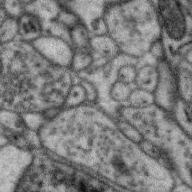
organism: Zebra finch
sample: Brain